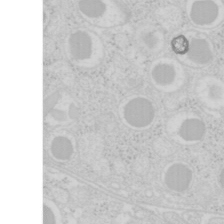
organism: Mouse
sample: Pancreas